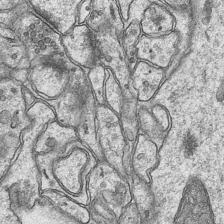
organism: Mouse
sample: CA1 Hippocampus